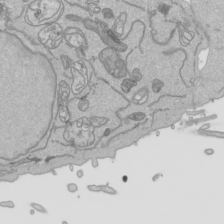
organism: Human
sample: Mitochondria in HCT116 cells